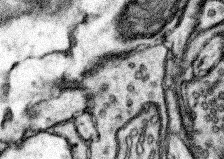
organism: Mouse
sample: Somatosensory cortex neuropil